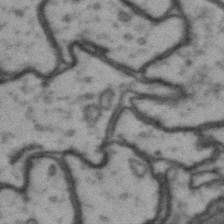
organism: Drosophila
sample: Brain